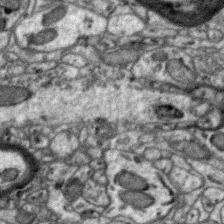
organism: Zebra finch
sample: Brain